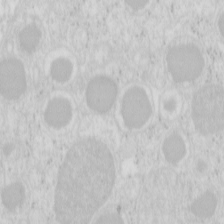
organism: Mouse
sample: Pancreas